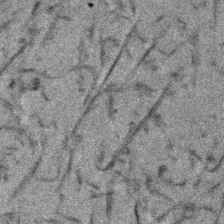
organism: Human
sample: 1205lu cells